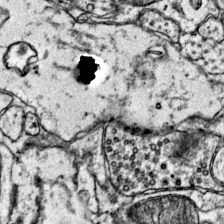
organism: Mouse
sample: Primary visual cortex